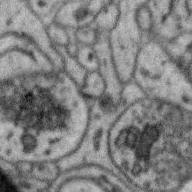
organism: Zebra finch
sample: Brain